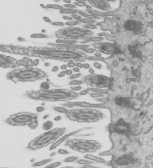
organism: Mouse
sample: Mouse epididymis efferent ductule cilia